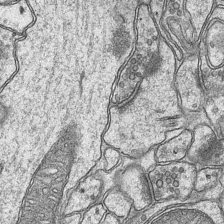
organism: Mouse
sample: CA1 Hippocampus